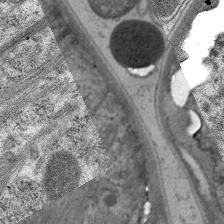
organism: C. elegans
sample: Pharynx